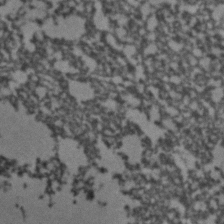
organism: C. elegans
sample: C. elegans embryo